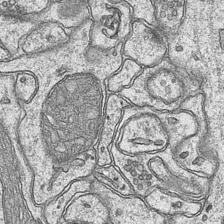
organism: Mouse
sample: CA1 Hippocampus